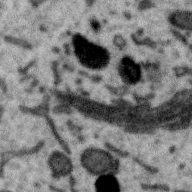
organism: Zebra finch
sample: Brain